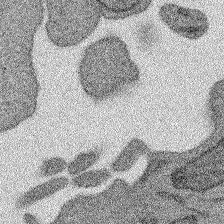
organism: Human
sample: HeLa cells